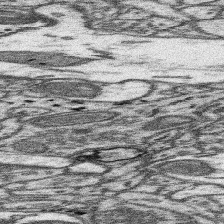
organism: Mouse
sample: Somatosensory cortex neuropil